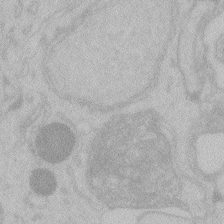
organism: Zebrafish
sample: Macrophage infected with Toxoplasma gondii